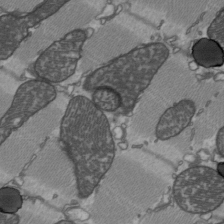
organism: C57BL Mouse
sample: Heart